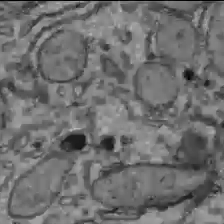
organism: C57BL Mouse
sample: Liver